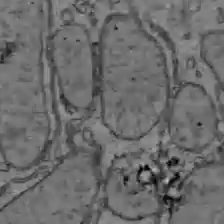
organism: C57BL Mouse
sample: Liver